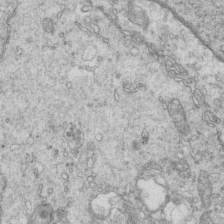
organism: Mouse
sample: Multiciliated cells